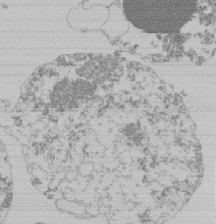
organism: Mouse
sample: Activated Pmel transgenic CD8+ T Cells